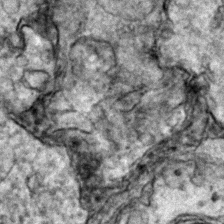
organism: Zebrafish